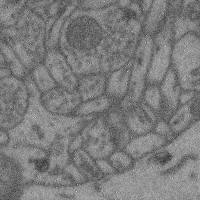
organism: Mouse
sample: Cerebral cortex